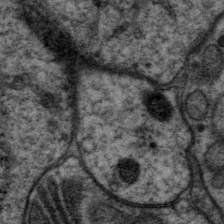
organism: P. pacificus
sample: Pharynx